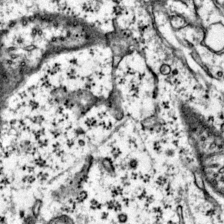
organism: Mouse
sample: Primary visual cortex